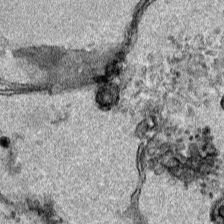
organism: Human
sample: Mitochondria in HCT116 cells